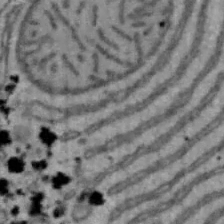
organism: Mouse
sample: Liver